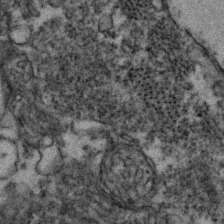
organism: Zebrafish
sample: Zebrafish embryo